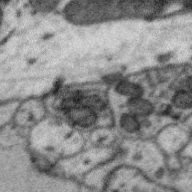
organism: Zebra finch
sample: Brain